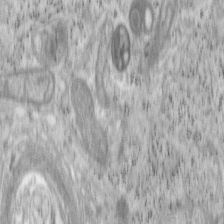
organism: Human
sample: HeLa cells